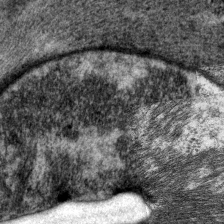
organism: P. pacificus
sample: Pharynx